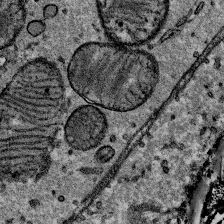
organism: Mouse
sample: Mouse Salivary gland